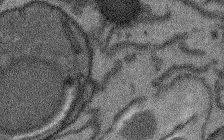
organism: Arabidopsis thaliana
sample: Root tip